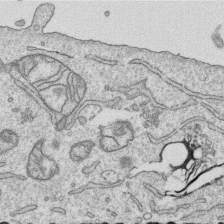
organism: Human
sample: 1205lu cells